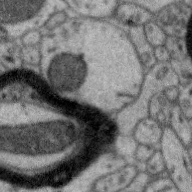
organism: Zebra finch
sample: Brain